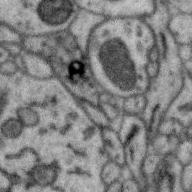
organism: Zebra finch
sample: Brain